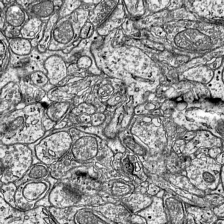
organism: Mouse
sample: Visual Cortex